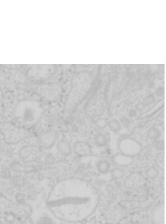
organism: Mouse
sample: Pancreas